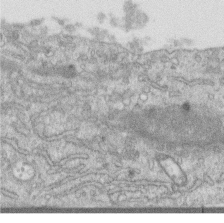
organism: Human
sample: Centriole in RPE cells